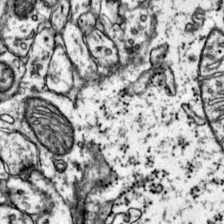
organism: Mouse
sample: Primary visual cortex